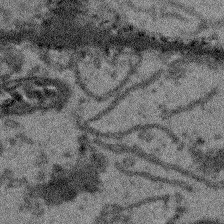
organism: Arabidopsis thaliana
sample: Root tip